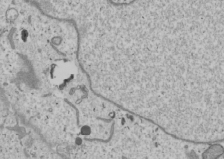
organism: Human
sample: Mitochondria in U2OS cells